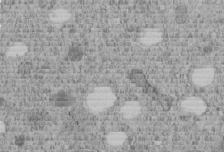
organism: C. elegans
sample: C. elegans embryo early stage